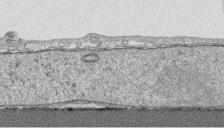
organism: Human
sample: CRL-1474